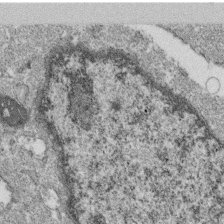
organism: African green monkey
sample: Vero E6 cells infected with SARS-CoV-2